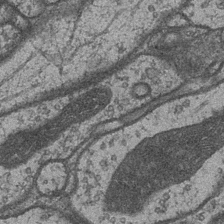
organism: Drosophila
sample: Optic medulla